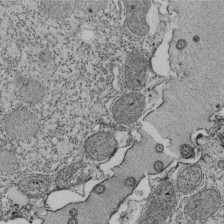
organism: Tetrahymena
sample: Cilia in tetrahymena